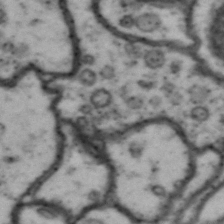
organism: Drosophila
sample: Brain